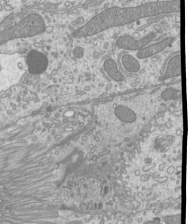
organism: Mouse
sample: Cilia; mouse epididymis